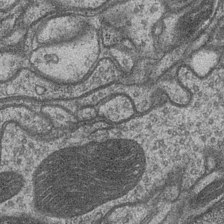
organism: Drosophila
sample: Optic medulla